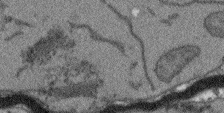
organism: Arabidopsis thaliana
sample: Root tip